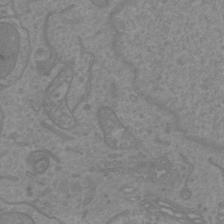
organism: Mouse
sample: Cortical neurons